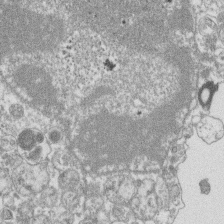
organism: Human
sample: HeLa cell HIV synapse